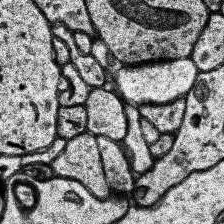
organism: Human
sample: Temporal Lobe